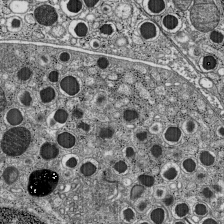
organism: C57BL Mouse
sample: Pancreatic islet